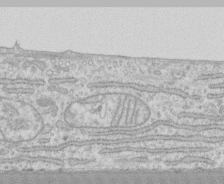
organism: Human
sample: CRL-1474